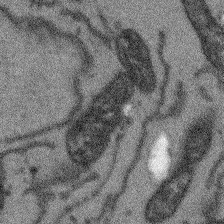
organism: Arabidopsis thaliana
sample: Root tip